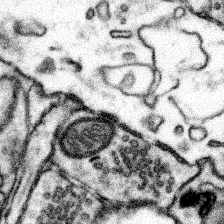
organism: Mouse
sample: Somatosensory cortex neuropil